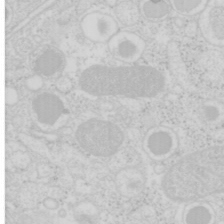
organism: Mouse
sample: Pancreas